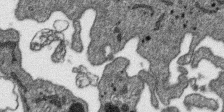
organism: Human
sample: Lung epithelial cells infected with SARS-CoV-2